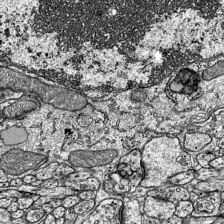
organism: Mouse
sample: Visual Cortex